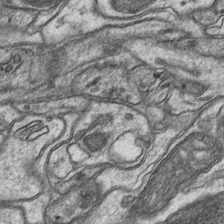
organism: Mouse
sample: CA1 Hippocampus